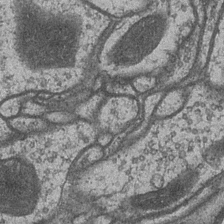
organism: Drosophila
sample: Optic medulla